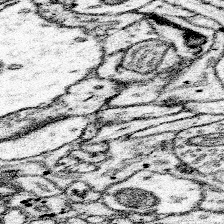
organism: Mouse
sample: Somatosensory cortex neuropil